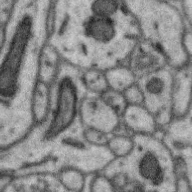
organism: Zebra finch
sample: Brain